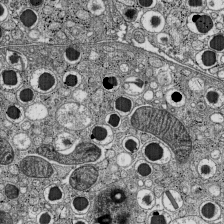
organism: C57BL Mouse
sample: Pancreatic islet